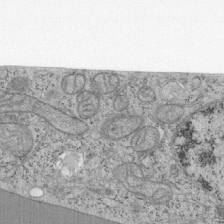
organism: Human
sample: HeLa cells